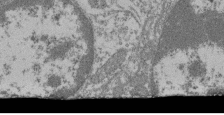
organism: Mouse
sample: Glomerulus